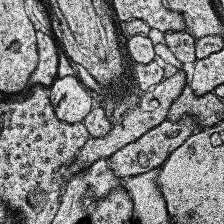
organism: Human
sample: Temporal Lobe